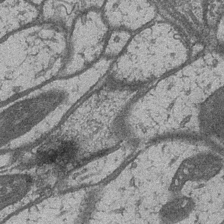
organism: Drosophila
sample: Optic medulla